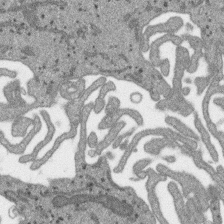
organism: Human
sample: Lung epithelial cells infected with SARS-CoV-2